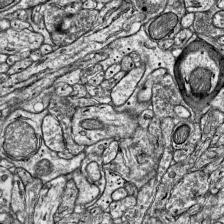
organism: Mouse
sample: Visual Cortex